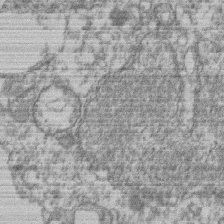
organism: Mouse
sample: T cell stromal cell synapse